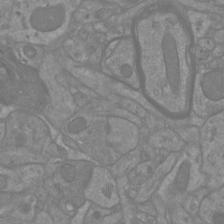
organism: Mouse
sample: Cortical neurons